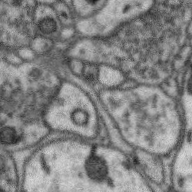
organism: Zebra finch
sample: Brain